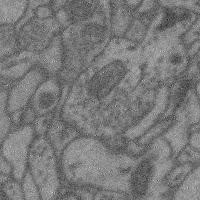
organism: Mouse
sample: Cerebral cortex